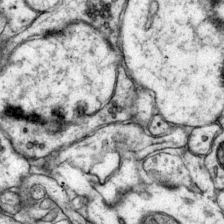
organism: Mouse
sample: Primary visual cortex